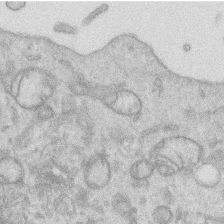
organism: Human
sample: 1205lu cells